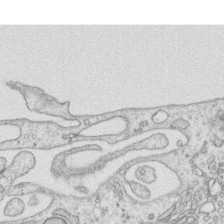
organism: Human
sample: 1205lu cells